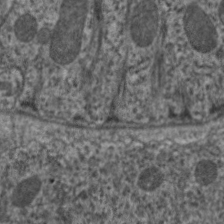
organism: C. elegans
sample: Pharynx